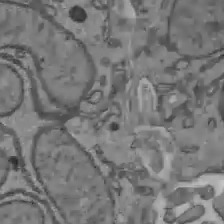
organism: C57BL Mouse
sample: Liver